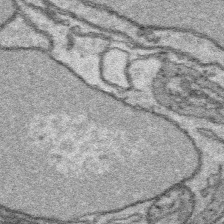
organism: Platynereis dumerilii